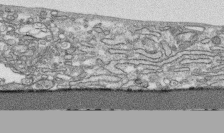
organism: Human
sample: CRL-1474